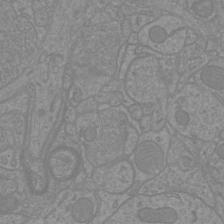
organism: Mouse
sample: Cortical neurons